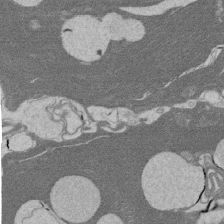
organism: Rat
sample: Salivary granule